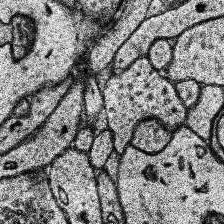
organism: Human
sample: Temporal Lobe